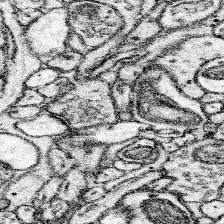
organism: Mouse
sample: Somatosensory cortex neuropil